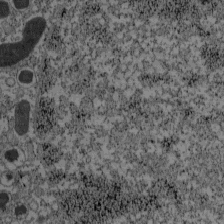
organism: C57BL Mouse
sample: Pancreatic islet